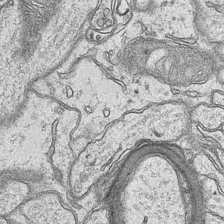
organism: Mouse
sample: CA1 Hippocampus